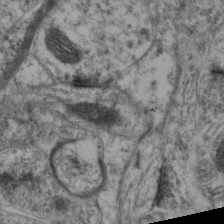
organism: Mouse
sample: Neocortex